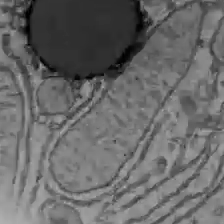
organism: C57BL Mouse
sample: Liver